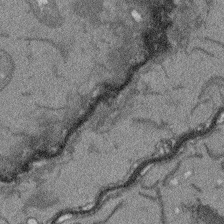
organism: Arabidopsis thaliana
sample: Root tip